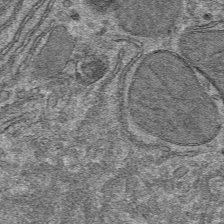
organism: Mouse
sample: Mouse hepatocytes